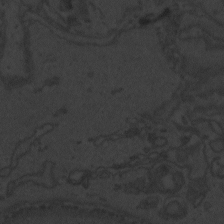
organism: Zebrafish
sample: Macrophage infected with Toxoplasma gondii